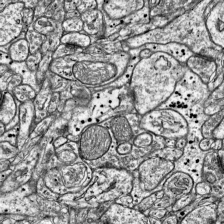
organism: Mouse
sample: Visual Cortex